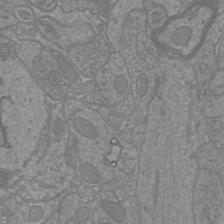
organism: Mouse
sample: Cortical neurons